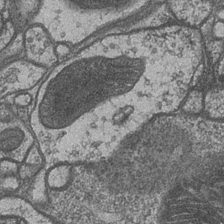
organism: Drosophila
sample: Optic medulla